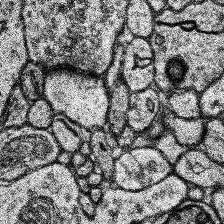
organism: Human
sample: Temporal Lobe